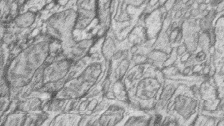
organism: Zebrafish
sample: synaptic ribbons in rod cells and cone cells